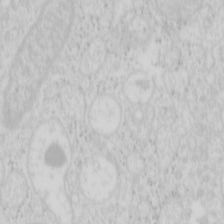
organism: Mouse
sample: Pancreas